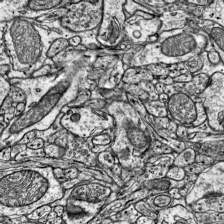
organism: Mouse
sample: Visual Cortex